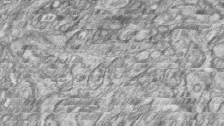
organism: Zebrafish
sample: synaptic ribbons in rod cells and cone cells